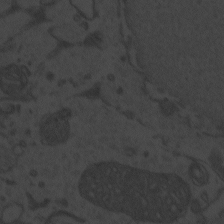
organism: Zebrafish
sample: Macrophage infected with Toxoplasma gondii